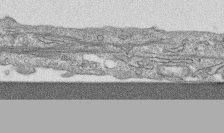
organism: Human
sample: CRL-1474